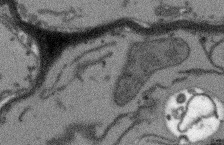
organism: Arabidopsis thaliana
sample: Root tip